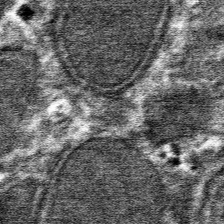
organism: Mouse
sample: Mouse hepatocytes